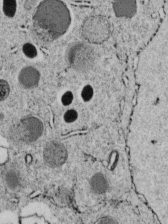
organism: C. elegans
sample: C. elegans embryo early stage